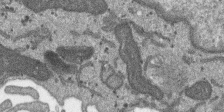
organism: Human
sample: Lung epithelial cells infected with SARS-CoV-2